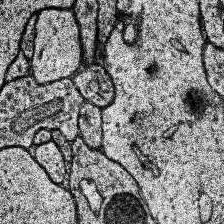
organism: Human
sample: Temporal Lobe